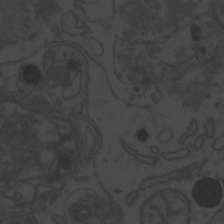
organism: Zebrafish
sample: Macrophage infected with Toxoplasma gondii